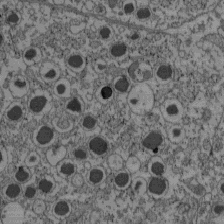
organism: C57BL Mouse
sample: Pancreatic islet